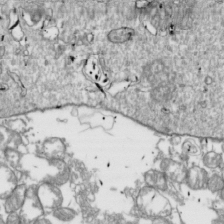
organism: Drosophila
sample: Cell division; meiosis; drosophila spermatocytes